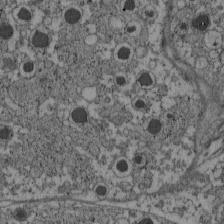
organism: C57BL Mouse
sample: Pancreatic islet